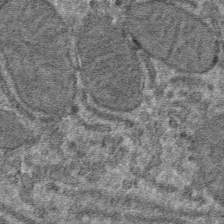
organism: Mouse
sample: Mouse hepatocytes